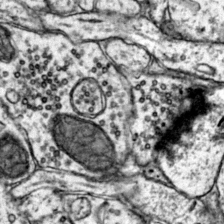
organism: Mouse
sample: Primary visual cortex